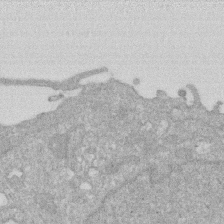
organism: Human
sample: HIV infected U937 cells